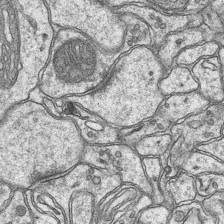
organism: Mouse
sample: CA1 Hippocampus